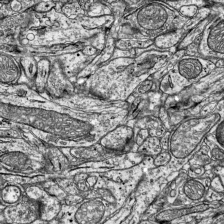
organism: Mouse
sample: Visual Cortex